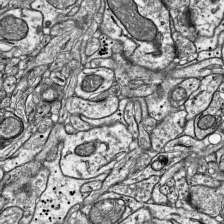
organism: Mouse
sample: Visual Cortex